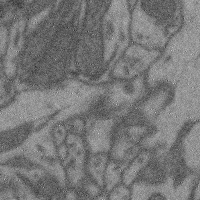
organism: Mouse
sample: Cerebral cortex